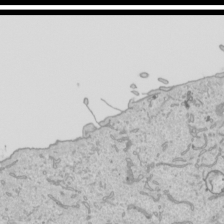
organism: Human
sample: Mitochondria in HCT116 cells